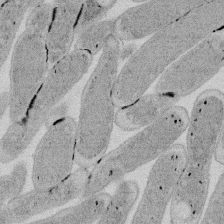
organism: E. coli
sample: Bacterial nucleoid